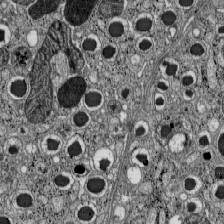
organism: C57BL Mouse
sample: Pancreatic islet